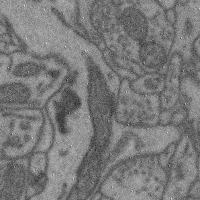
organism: Mouse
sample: Cerebral cortex